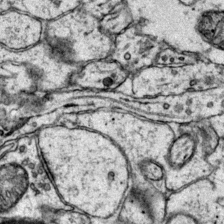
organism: Mouse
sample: Primary visual cortex